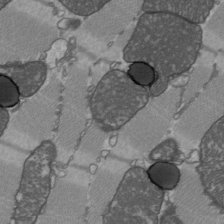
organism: C57BL Mouse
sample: Heart